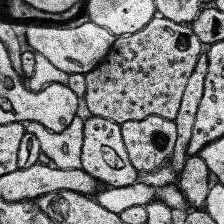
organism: Human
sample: Temporal Lobe